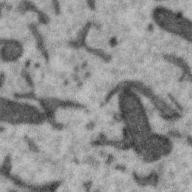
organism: Zebra finch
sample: Brain